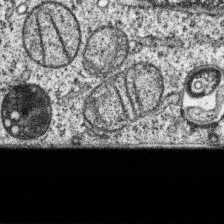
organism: Human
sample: HeLa cells